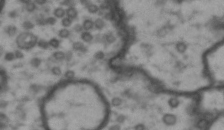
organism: Drosophila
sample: Brain